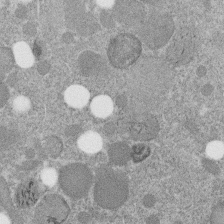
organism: C. elegans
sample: C. elegans embryo early stage